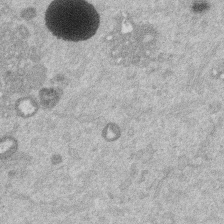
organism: Mouse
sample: Dividing mouse embryo 1 cell stage